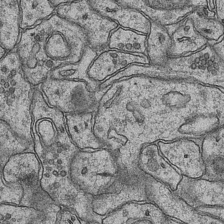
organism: Mouse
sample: CA1 Hippocampus